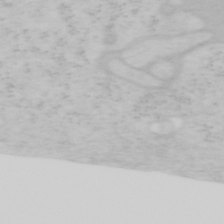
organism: Mouse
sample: OT-I killer T cells with ID8 ovarian cancer cells